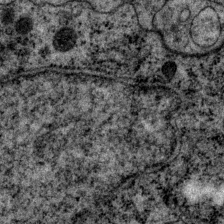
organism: P. pacificus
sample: Pharynx